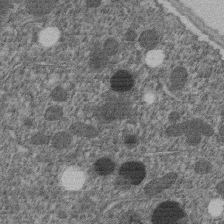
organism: C. elegans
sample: C. elegans embryo early stage